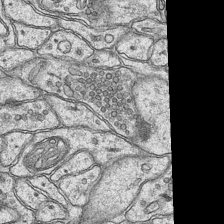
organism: Mouse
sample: CA1 Hippocampus